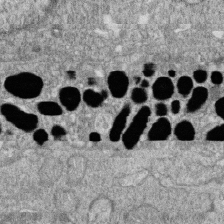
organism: Zebrafish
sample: Cilia; retinal pigment epithelium